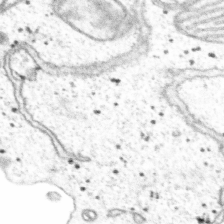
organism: Human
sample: HeLa cells